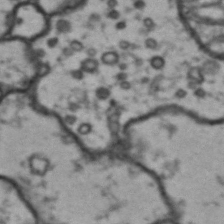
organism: Drosophila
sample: Brain